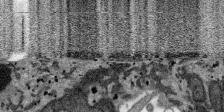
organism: Human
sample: Lung epithelial cells, uninfected (mock) control